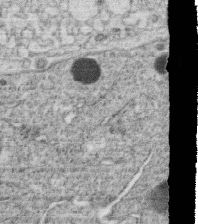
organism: C. elegans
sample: C. elegans oocyte; sperm cells